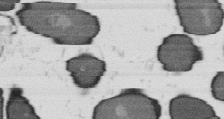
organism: B. subtilis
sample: Bacterial spore